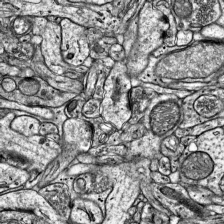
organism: Mouse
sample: Visual Cortex